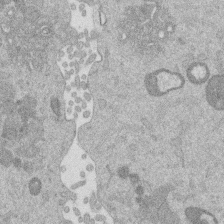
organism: Mouse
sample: Dividing mouse embryo 1 cell stage